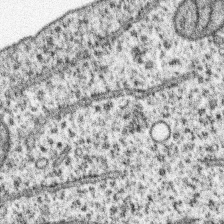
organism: Human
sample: HeLa cells